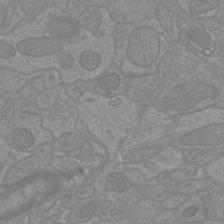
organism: Mouse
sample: Cortical neurons